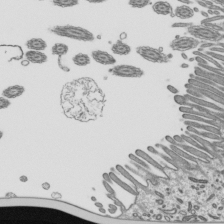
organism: Mouse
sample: Mouse epididymis efferent ductule cilia